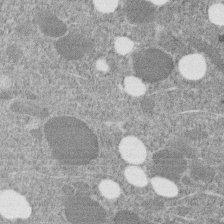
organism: C. elegans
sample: C. elegans embryo early stage